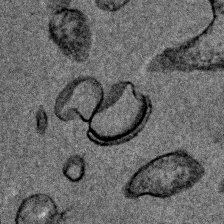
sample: Trachea